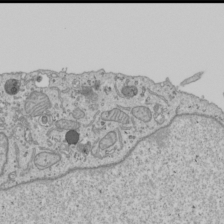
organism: Human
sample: Mitochondria in U2OS cells